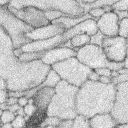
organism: Rabbit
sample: Retina